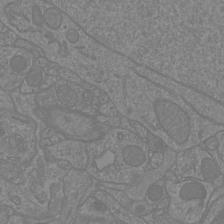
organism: Mouse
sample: Cortical neurons